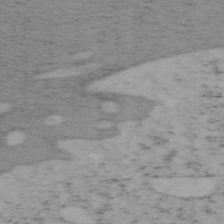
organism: Mouse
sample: OT-I killer T cells with ID8 ovarian cancer cells